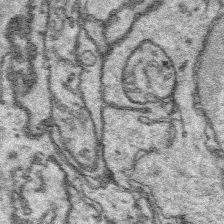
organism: Platynereis dumerilii